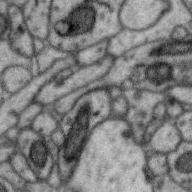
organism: Zebra finch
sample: Brain